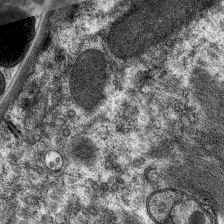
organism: C. elegans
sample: Pharynx